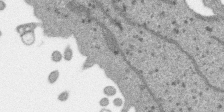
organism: Human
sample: Lung epithelial cells infected with SARS-CoV-2